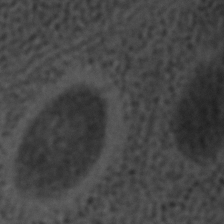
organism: C. elegans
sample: C. elegans embryo